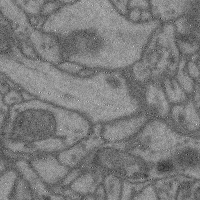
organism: Mouse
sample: Cerebral cortex